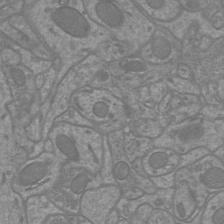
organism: Mouse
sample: Cortical neurons